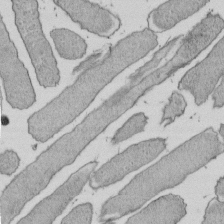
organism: E. coli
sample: Bacterial nucleoid